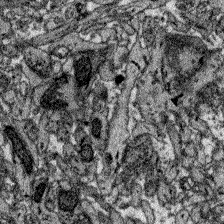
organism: Zebrafish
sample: Larval olfactory bulb